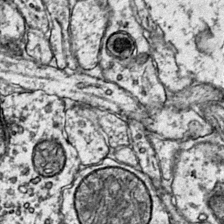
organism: Mouse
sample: Primary visual cortex